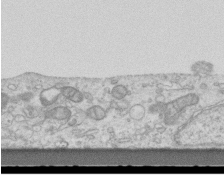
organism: Mouse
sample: Centriole in ependymal cells